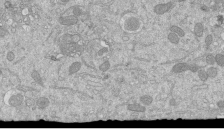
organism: Mouse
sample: ED-1 cell nuclei; centrioles